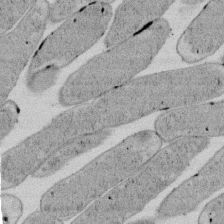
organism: E. coli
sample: Bacterial nucleoid